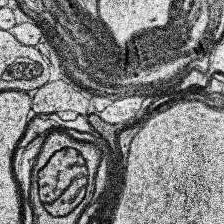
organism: Human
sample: Temporal Lobe